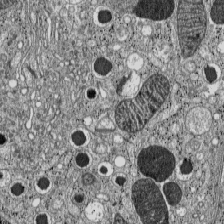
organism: C57BL Mouse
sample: Pancreatic islet